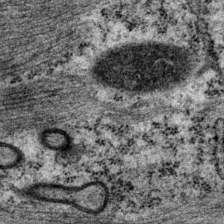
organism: P. pacificus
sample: Pharynx